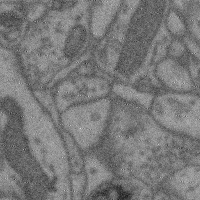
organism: Mouse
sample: Cerebral cortex